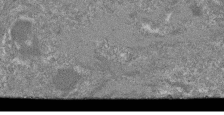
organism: Mouse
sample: Glomerulus